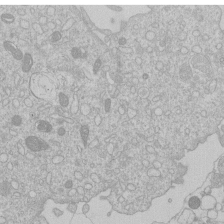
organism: Human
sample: Macrophage cells